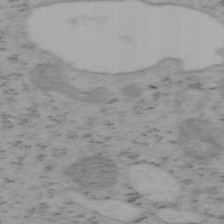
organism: Mouse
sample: OT-I killer T cells with ID8 ovarian cancer cells